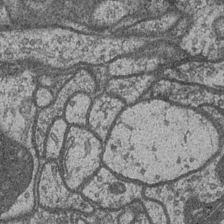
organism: Drosophila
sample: Optic medulla